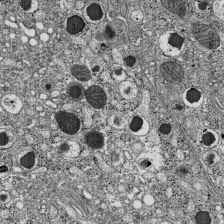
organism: C57BL Mouse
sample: Pancreatic islet